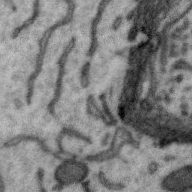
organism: Zebra finch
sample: Brain